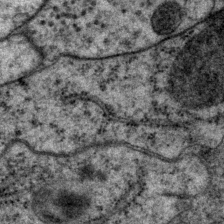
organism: P. pacificus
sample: Pharynx